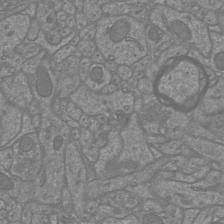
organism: Mouse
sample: Cortical neurons